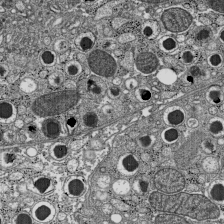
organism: C57BL Mouse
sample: Pancreatic islet